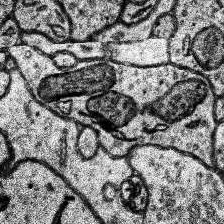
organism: Human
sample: Temporal Lobe